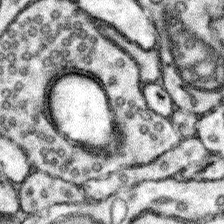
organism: Mouse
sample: Somatosensory cortex neuropil